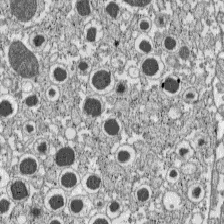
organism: C57BL Mouse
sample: Pancreatic islet